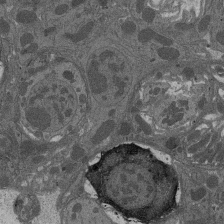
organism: Drosophila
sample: Antenna